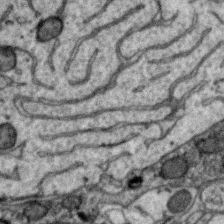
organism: Zebra finch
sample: Brain